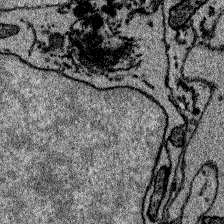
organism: Zebrafish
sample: Larval olfactory bulb